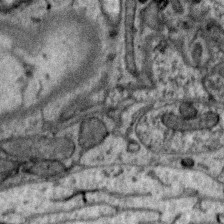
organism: Zebra finch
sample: Brain